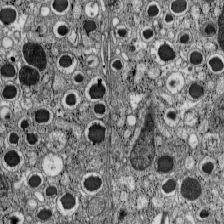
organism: C57BL Mouse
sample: Pancreatic islet